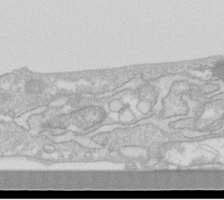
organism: Human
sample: Fibroblast cells